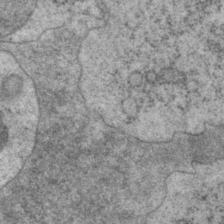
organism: P. pacificus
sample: Pharynx